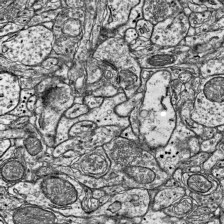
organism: Mouse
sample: Visual Cortex